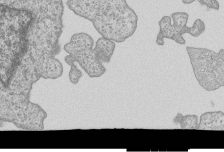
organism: Human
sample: MDA-MB-231 cells